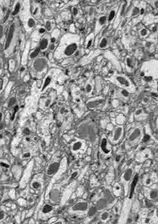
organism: Drosophila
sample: Optic lobe